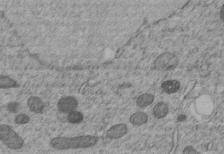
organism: C. elegans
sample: C. elegans embryo early stage